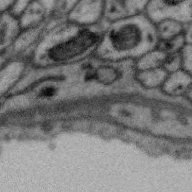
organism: Zebra finch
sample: Brain